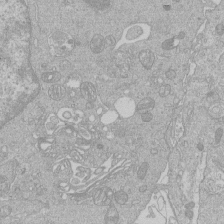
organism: Human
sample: Macrophage cells